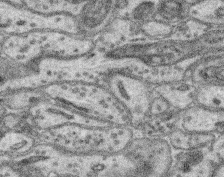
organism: Mouse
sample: Retina